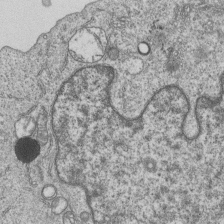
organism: Human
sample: MDA-MB-231 cells